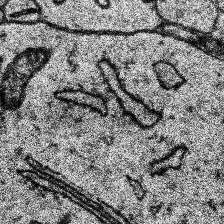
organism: Human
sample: Temporal Lobe